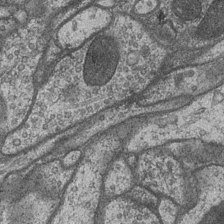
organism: Drosophila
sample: Optic medulla